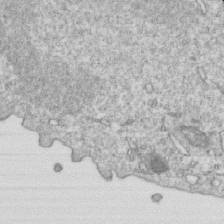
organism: Mouse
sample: Activated OT-1 CD8+ T cells